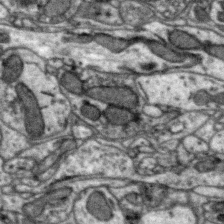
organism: Zebra finch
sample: Brain